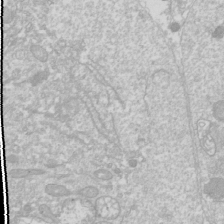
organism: Drosophila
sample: Cell division; meiosis; drosophila spermatocytes